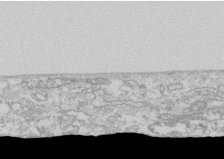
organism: Human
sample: CRL-1474